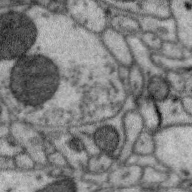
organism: Zebra finch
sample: Brain